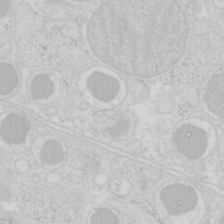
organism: Mouse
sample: Pancreas